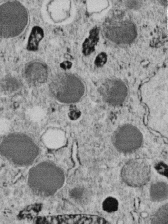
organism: C. elegans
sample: C. elegans embryo early stage